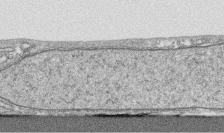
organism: Human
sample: CRL-1474